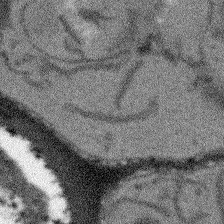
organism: Arabidopsis thaliana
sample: Root tip